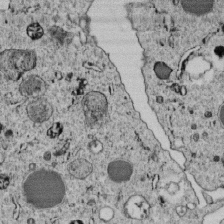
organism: C. elegans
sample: C. elegans embryo early stage